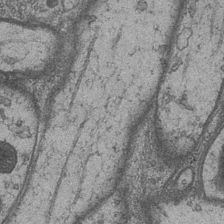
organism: Drosophila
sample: Optic medulla